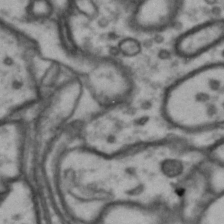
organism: Drosophila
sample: Brain